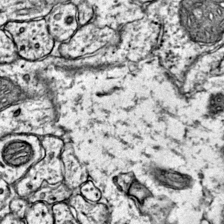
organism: Mouse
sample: Primary visual cortex